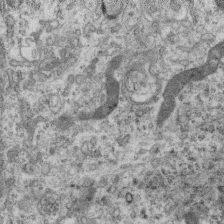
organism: Mouse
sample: Centriole in ependymal cells